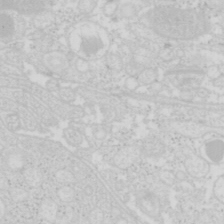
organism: Mouse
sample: Pancreas